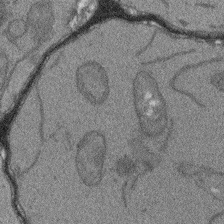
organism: Arabidopsis thaliana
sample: Root tip